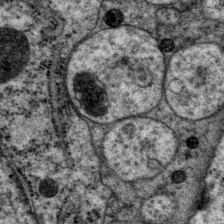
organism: P. pacificus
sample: Pharynx